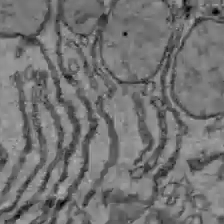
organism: C57BL Mouse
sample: Liver